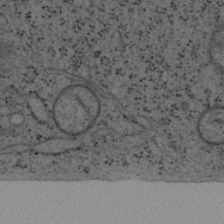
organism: Human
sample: HeLa cells